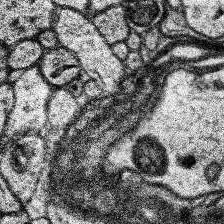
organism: Human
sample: Temporal Lobe